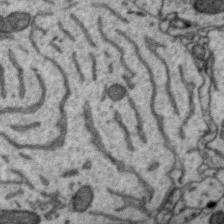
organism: Zebra finch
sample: Brain